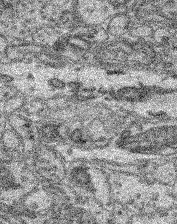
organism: Mouse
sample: Retina